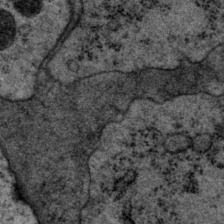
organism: P. pacificus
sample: Pharynx